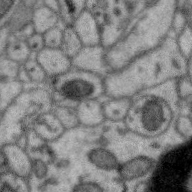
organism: Zebra finch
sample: Brain